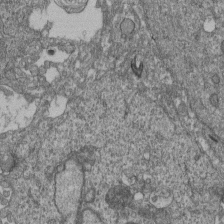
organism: Human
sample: Retinal organoid Rod and Cone cells